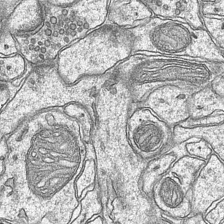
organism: Mouse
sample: CA1 Hippocampus